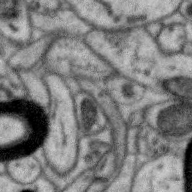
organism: Zebra finch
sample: Brain